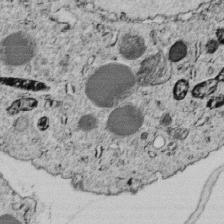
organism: C. elegans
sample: C. elegans embryo early stage